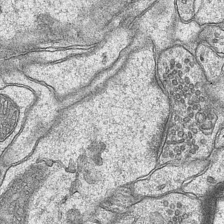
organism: Mouse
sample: CA1 Hippocampus